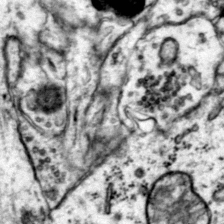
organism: Mouse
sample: Primary visual cortex